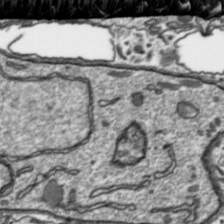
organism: Toxoplasma gondii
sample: Parasites in a vacuole inside a host cell